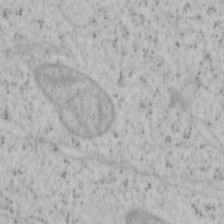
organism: Human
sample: HeLa cells